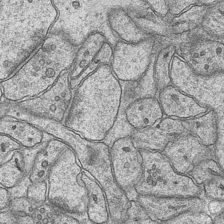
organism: Mouse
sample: CA1 Hippocampus